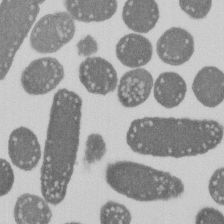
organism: E. coli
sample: Bacterial nucleoid